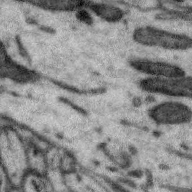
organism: Zebra finch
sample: Brain